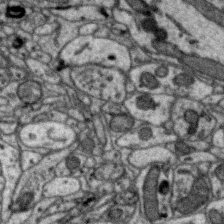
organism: Zebra finch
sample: Brain